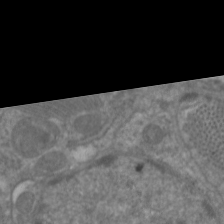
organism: C. elegans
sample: Pharynx